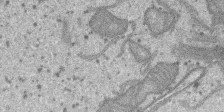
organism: Human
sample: Lung epithelial cells infected with SARS-CoV-2